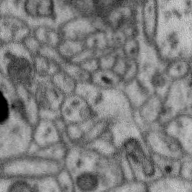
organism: Zebra finch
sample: Brain